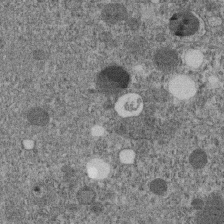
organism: C. elegans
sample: C. elegans embryo early stage